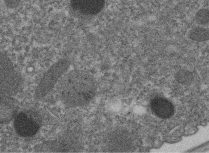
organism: C. elegans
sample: C. elegans embryo early stage